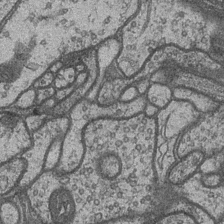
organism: Drosophila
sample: Optic medulla